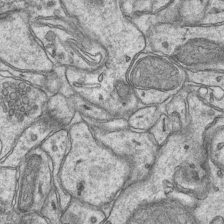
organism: Mouse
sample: CA1 Hippocampus